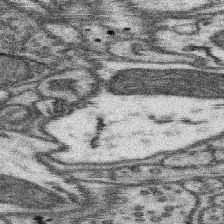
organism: Mouse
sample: Somatosensory cortex neuropil